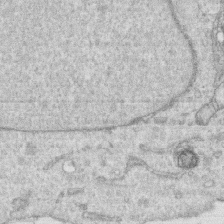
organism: Human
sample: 1205lu cells